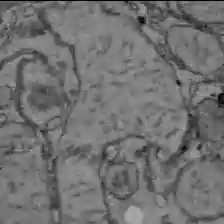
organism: C57BL Mouse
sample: Liver